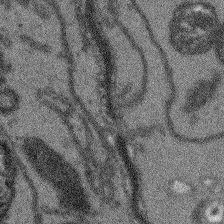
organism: Arabidopsis thaliana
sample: Root tip